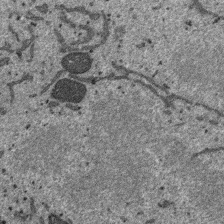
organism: Human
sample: Lung epithelial cells infected with SARS-CoV-2